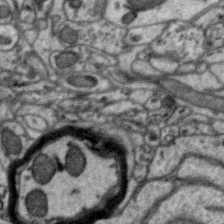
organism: Zebra finch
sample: Brain